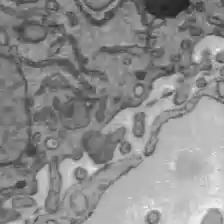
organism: C57BL Mouse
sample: Liver